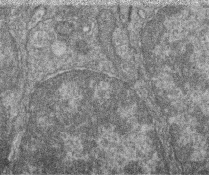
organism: Zebrafish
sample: Cilia; retinal pigment epithelium